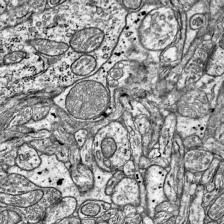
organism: Mouse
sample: Visual Cortex